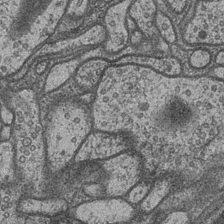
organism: Drosophila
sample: Optic medulla